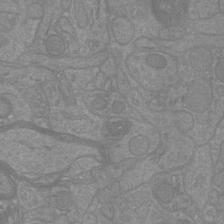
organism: Mouse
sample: Cortical neurons